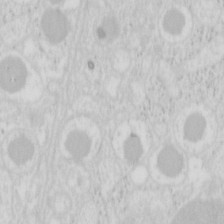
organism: Mouse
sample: Pancreas